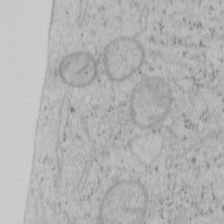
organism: Human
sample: HeLa cells